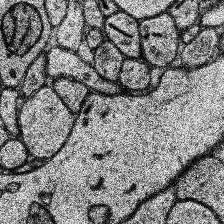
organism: Human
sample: Temporal Lobe